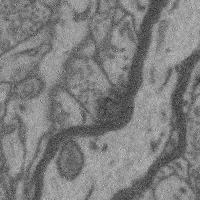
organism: Mouse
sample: Cerebral cortex